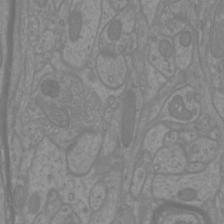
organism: Mouse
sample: Cortical neurons